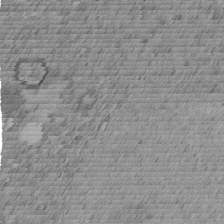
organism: C. elegans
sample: C. elegans embryo early stage